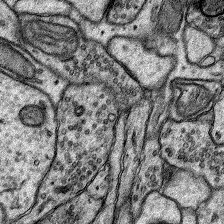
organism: Rat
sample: Hippocampus